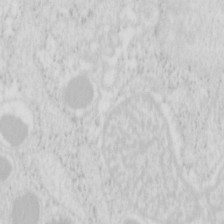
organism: Mouse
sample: Pancreas